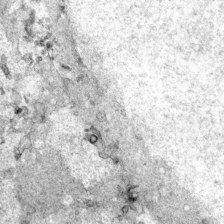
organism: Human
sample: Mitochondria in HCT116 cells